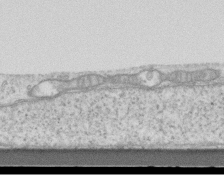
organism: Mouse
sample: Centriole in ependymal cells